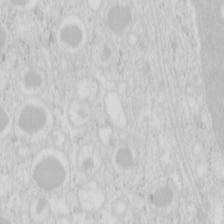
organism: Mouse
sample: Pancreas